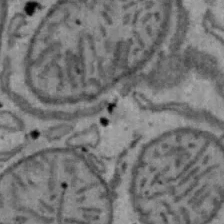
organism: Mouse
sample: Liver